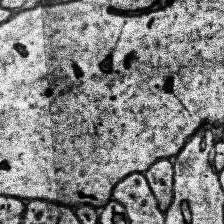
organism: Human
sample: Temporal Lobe